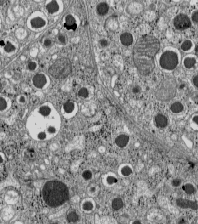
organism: C57BL Mouse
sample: Pancreatic islet